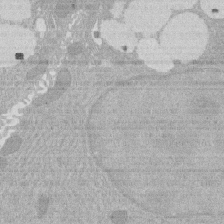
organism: Rat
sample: Salivary granule